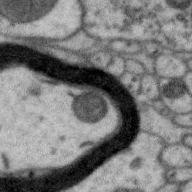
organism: Zebra finch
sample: Brain